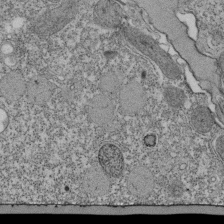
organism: Tetrahymena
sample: Cilia in tetrahymena